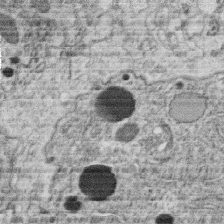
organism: C. elegans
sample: C. elegans oocyte; sperm cells